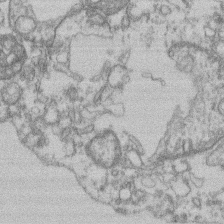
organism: Mouse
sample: T cell stromal cell synapse